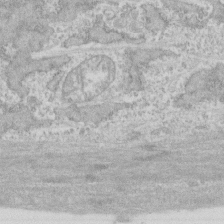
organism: Human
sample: CRL-1474